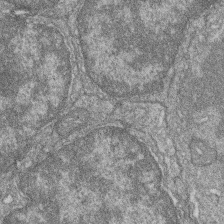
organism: Zebrafish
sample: Cilia; retinal pigment epithelium